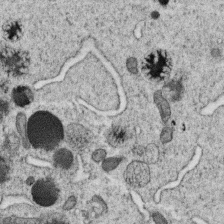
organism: C. elegans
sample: C. elegans oocyte; sperm cells